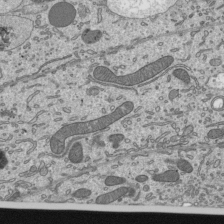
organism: Mouse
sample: Mouse epididymis efferent ductule cilia